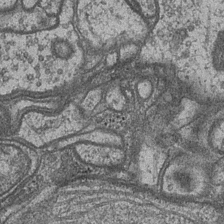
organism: Drosophila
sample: Optic medulla